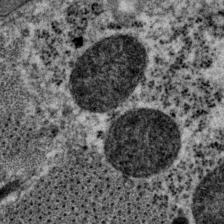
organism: P. pacificus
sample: Pharynx